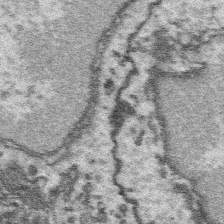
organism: Platynereis dumerilii